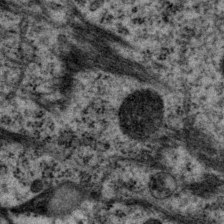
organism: P. pacificus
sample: Pharynx